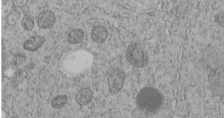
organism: C. elegans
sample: C. elegans embryo early stage